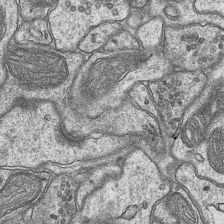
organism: Mouse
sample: CA1 Hippocampus